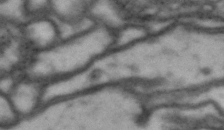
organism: Drosophila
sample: Brain